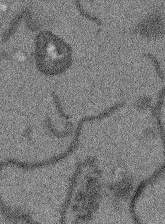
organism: Arabidopsis thaliana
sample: Root tip